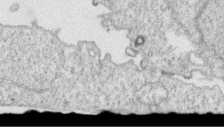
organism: Human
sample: HeLa cell HIV synapse